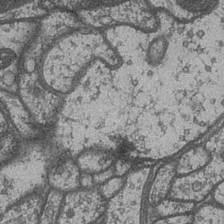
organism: Drosophila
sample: Optic medulla